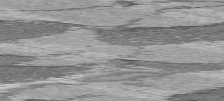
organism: C57BL Mouse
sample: Heart